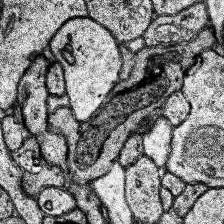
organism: Human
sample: Temporal Lobe